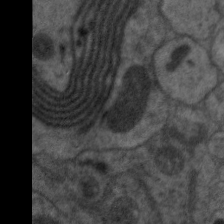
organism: C. elegans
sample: Pharynx